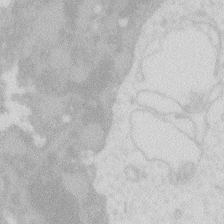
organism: Zebrafish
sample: Macrophage